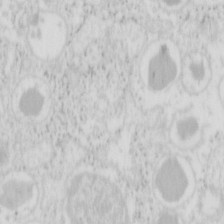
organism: Mouse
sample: Pancreas